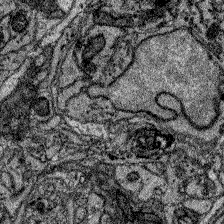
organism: Zebrafish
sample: Larval olfactory bulb